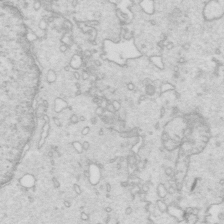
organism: Mouse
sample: Multiciliated cells